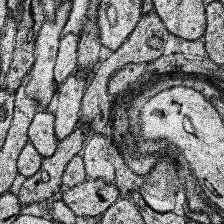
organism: Human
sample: Temporal Lobe